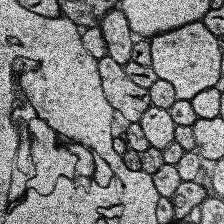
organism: Human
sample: Temporal Lobe